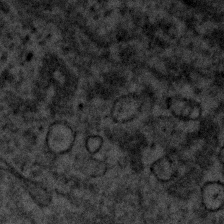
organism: Human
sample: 1205lu cells